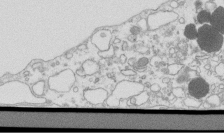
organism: Mouse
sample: Macrophages